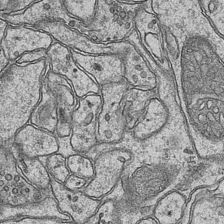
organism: Mouse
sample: CA1 Hippocampus